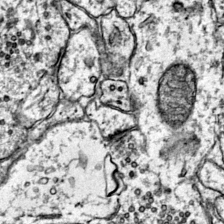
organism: Mouse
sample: Primary visual cortex